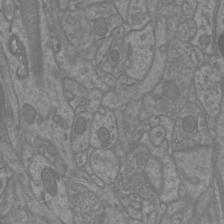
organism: Mouse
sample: Cortical neurons